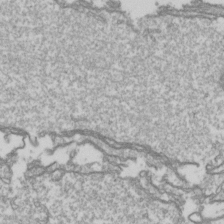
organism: Drosophila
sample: Cell division; meiosis; drosophila spermatocytes